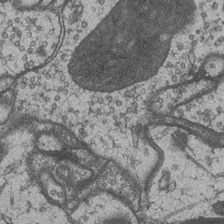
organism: Drosophila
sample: Optic medulla